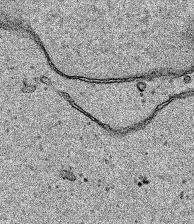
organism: Human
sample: Mitochondria in HCT116 cells